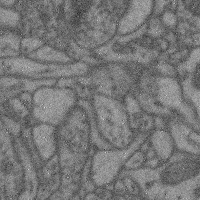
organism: Mouse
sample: Cerebral cortex